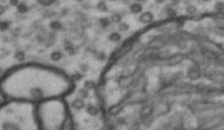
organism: Drosophila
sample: Brain